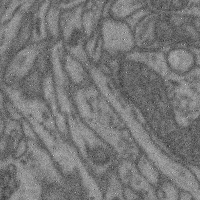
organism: Mouse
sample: Cerebral cortex